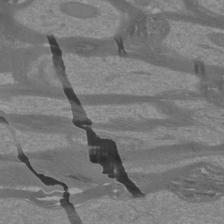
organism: Mouse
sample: Cortical neurons